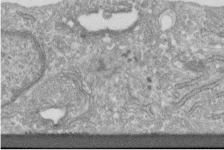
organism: Human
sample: Centriole in fibroblast cells